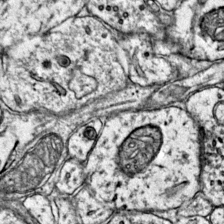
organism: Mouse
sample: Primary visual cortex